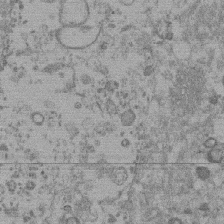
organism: Mouse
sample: Dividing mouse embryo 1 cell stage